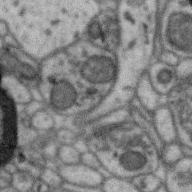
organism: Zebra finch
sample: Brain